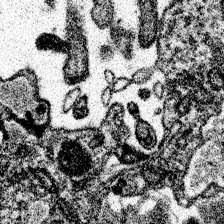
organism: Spongilla lacustris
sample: Neuroid cell